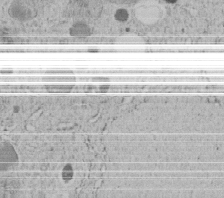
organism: C. elegans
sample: C. elegans embryo early stage